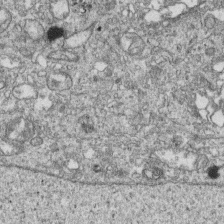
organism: Human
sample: HeLa cell HIV synapse